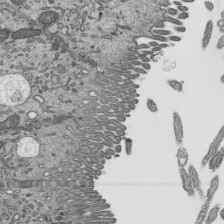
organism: Mouse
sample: Mouse epididymis efferent ductule cilia